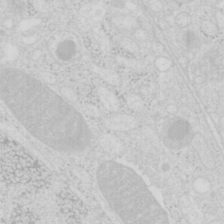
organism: Mouse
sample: Pancreas